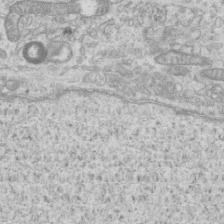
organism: Mouse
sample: Centriole in ependymal cells